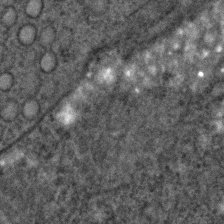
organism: C. elegans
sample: C. elegans embryo